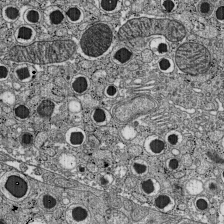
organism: C57BL Mouse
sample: Pancreatic islet